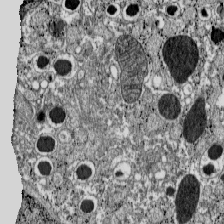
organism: C57BL Mouse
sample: Pancreatic islet